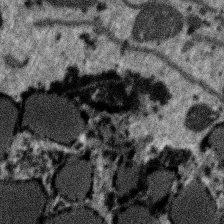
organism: Human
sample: Lung epithelial cells infected with SARS-CoV-2